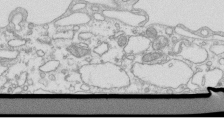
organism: Mouse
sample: Macrophages